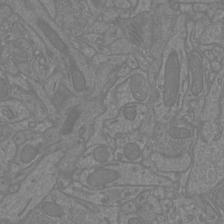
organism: Mouse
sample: Cortical neurons